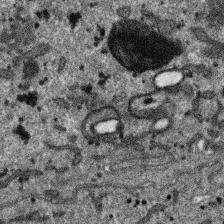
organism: Human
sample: Lung epithelial cells infected with SARS-CoV-2